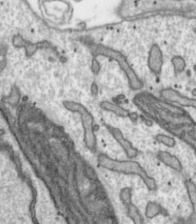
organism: Toxoplasma gondii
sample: Parasites in a vacuole inside a host cell